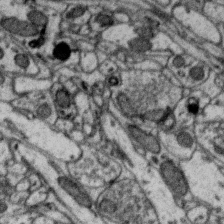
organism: Zebra finch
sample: Brain